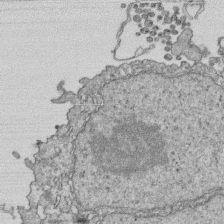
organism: Human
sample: HeLa cell HIV synapse